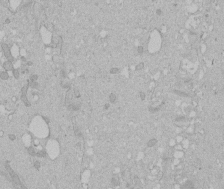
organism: Human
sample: Melanocyte Keratinocyte synapse skin construct